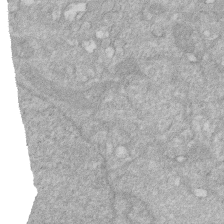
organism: Human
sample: HIV infected U937 cells